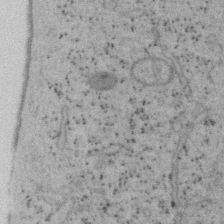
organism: Human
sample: HeLa cells